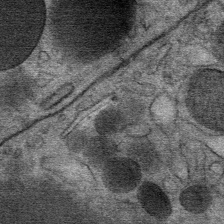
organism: Mouse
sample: Mouse Salivary gland